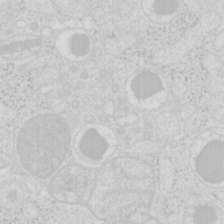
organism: Mouse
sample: Pancreas